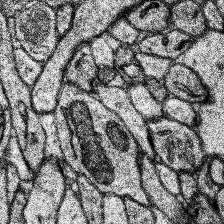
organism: Human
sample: Temporal Lobe